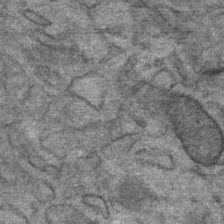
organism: Mouse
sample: Mouse Salivary gland